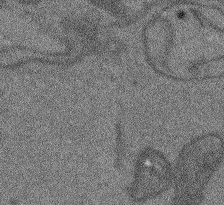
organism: Arabidopsis thaliana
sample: Root tip